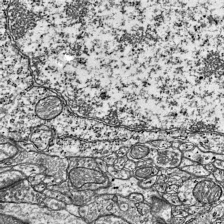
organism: Mouse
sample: Visual Cortex